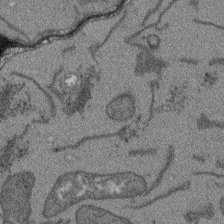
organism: Arabidopsis thaliana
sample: Root tip